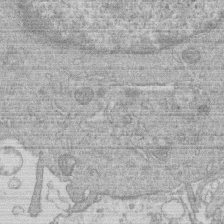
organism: Human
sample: Macrophage cells